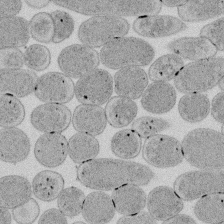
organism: E. coli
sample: Bacterial nucleoid